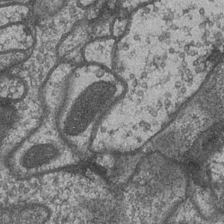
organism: Drosophila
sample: Optic medulla